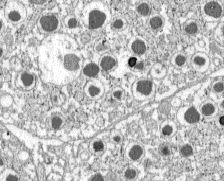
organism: C57BL Mouse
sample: Pancreatic islet